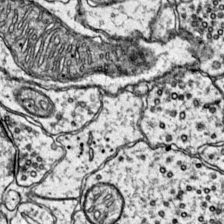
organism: Mouse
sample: Primary visual cortex